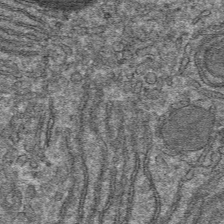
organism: Mouse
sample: Mouse hepatocytes